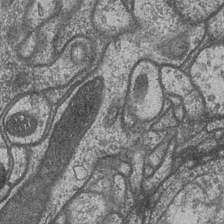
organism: Drosophila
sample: Optic medulla